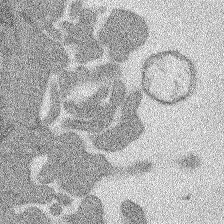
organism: Human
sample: HeLa cells